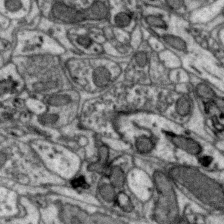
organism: Zebra finch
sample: Brain